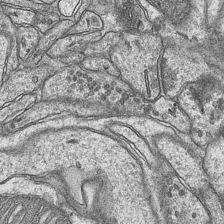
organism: Mouse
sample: CA1 Hippocampus